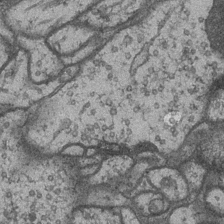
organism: Drosophila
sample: Optic medulla